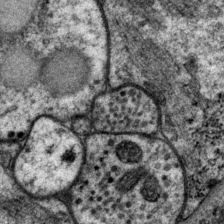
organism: P. pacificus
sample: Pharynx